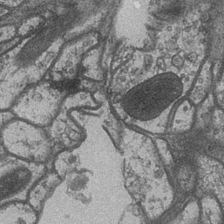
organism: Drosophila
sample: Optic medulla